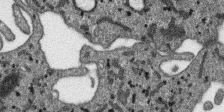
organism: Human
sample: Lung epithelial cells infected with SARS-CoV-2